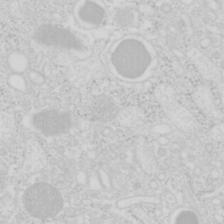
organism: Mouse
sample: Pancreas